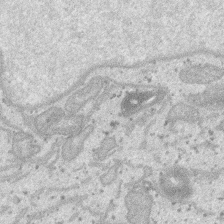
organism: Human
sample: Lung epithelial cells infected with SARS-CoV-2